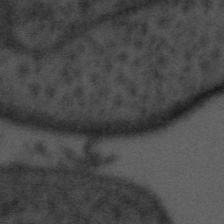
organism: Tuwongella immobilis